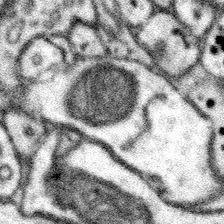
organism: Mouse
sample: Somatosensory cortex neuropil